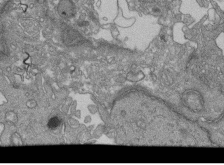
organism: Human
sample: Retinal organoid Rod and Cone cells